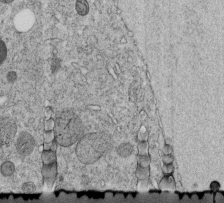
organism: C. elegans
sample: C. elegans embryo early stage